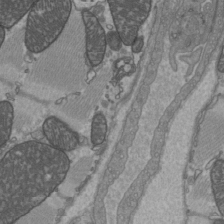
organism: C57BL Mouse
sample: Heart